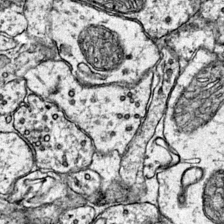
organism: Mouse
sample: Primary visual cortex